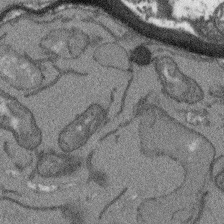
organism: Arabidopsis thaliana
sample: Root tip